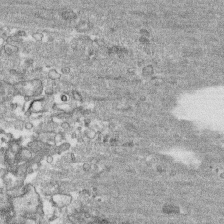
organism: Human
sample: CRL-1474